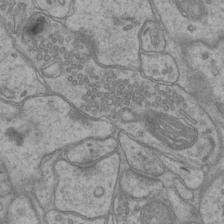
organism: Mouse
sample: CA1 Hippocampus